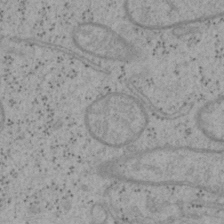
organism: Human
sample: HeLa cells